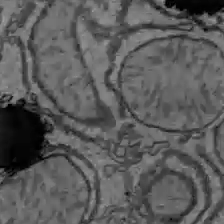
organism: C57BL Mouse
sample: Liver